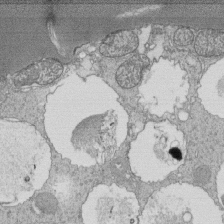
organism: Tetrahymena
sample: Cilia in tetrahymena